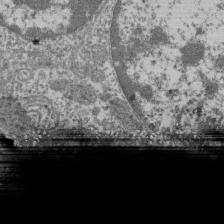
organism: Mouse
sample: Glomerulus